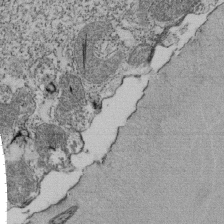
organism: Tetrahymena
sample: Cilia in tetrahymena